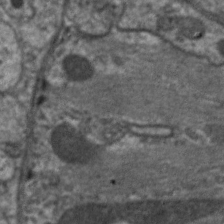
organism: C. elegans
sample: Pharynx